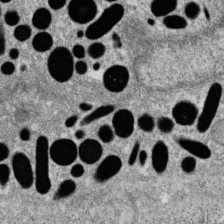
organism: Zebrafish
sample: Cilia; retinal pigment epithelium